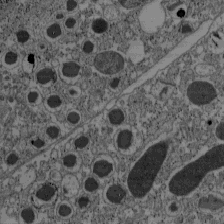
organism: C57BL Mouse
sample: Pancreatic islet